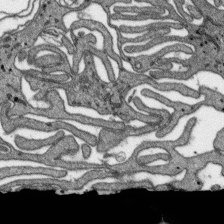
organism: Human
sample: Lung epithelial cells, uninfected (mock) control